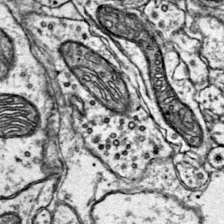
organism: Mouse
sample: Primary visual cortex